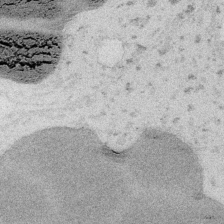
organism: Embia sp.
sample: Silk gland